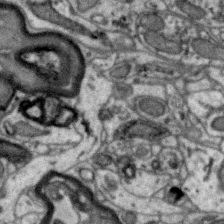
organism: Zebra finch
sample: Brain